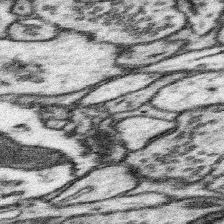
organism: Mouse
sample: Somatosensory cortex neuropil